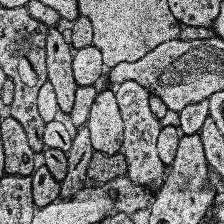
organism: Human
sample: Temporal Lobe